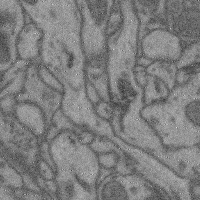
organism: Mouse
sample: Cerebral cortex